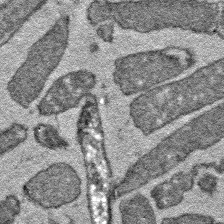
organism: E. coli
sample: E. Coli Bacteria